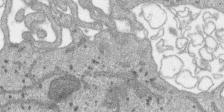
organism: Human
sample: Lung epithelial cells infected with SARS-CoV-2